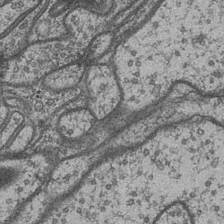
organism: Drosophila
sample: Optic medulla